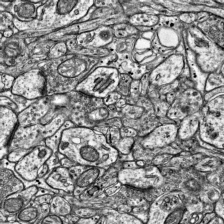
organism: Mouse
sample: Visual Cortex